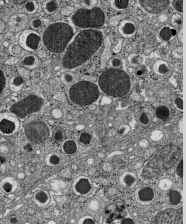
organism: C57BL Mouse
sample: Pancreatic islet